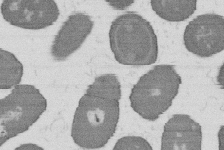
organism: B. subtilis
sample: Bacterial spore